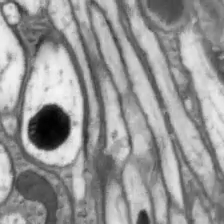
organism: Drosophila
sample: Optic lobe